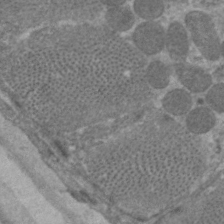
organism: C. elegans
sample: Pharynx